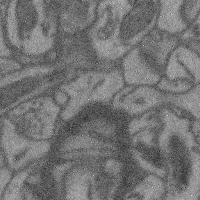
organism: Mouse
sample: Cerebral cortex